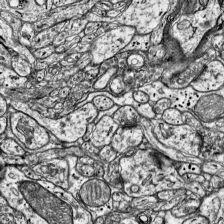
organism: Mouse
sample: Visual Cortex